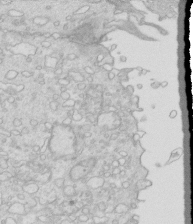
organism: Mouse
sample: Multiciliated cells